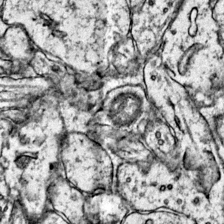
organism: Mouse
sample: Primary visual cortex